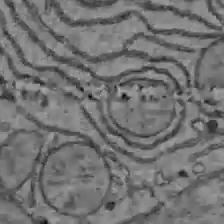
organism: C57BL Mouse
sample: Liver